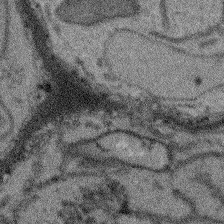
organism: Arabidopsis thaliana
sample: Root tip